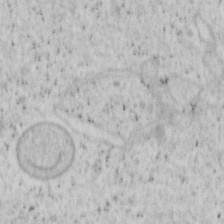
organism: Human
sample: HeLa cells